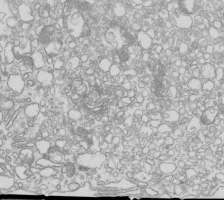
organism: Mouse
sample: Macrophages